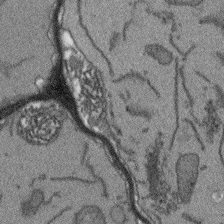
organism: Arabidopsis thaliana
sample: Root tip